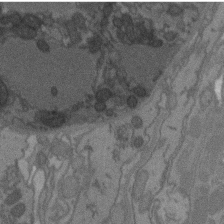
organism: C. elegans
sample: AFD neurons C. elegans